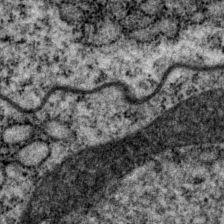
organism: P. pacificus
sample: Pharynx